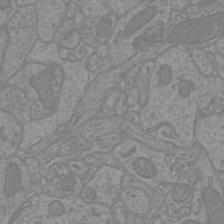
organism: Mouse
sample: Cortical neurons